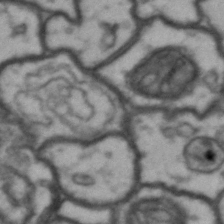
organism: Drosophila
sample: Brain